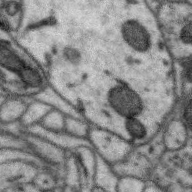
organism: Zebra finch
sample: Brain